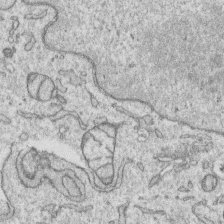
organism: Human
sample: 1205lu cells